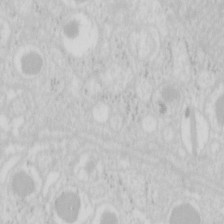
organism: Mouse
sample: Pancreas